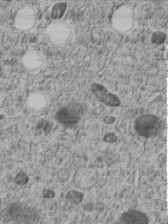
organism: C. elegans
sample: C. elegans embryo early stage